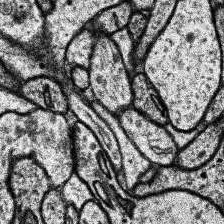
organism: Human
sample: Temporal Lobe